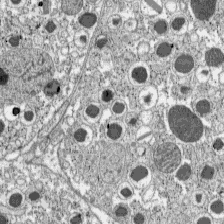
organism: C57BL Mouse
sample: Pancreatic islet